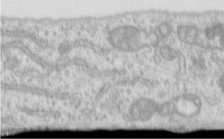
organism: Human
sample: Centriole in RPE cells